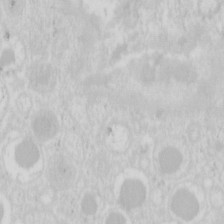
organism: Mouse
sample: Pancreas